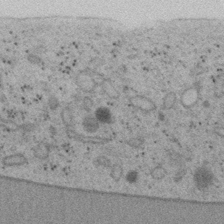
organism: Human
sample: HeLa cells